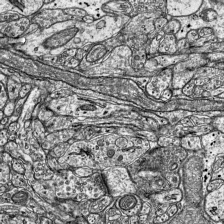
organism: Mouse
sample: Visual Cortex